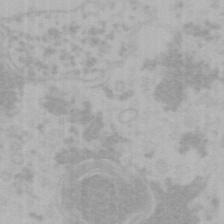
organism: Mouse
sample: Choroid plexus